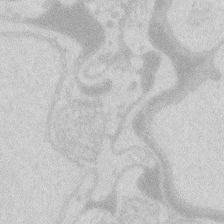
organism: Zebrafish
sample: Macrophage